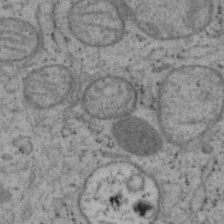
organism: Human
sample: HeLa cells